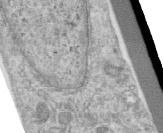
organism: Human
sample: Centriole in RPE cells